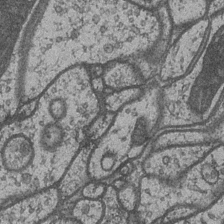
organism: Drosophila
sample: Optic medulla